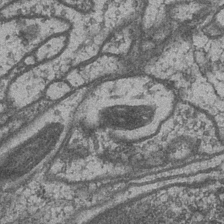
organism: Drosophila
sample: Optic medulla